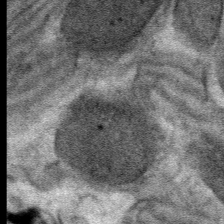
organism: Mouse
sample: Mouse Salivary gland